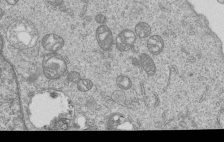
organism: Human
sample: MDA-MB-231 cells